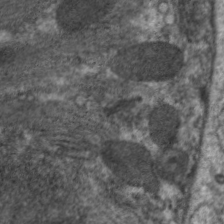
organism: C. elegans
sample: Pharynx